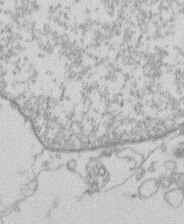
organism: Human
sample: Macrophage cells